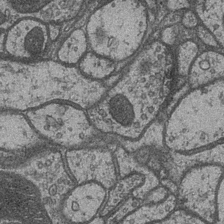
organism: Drosophila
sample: Optic medulla